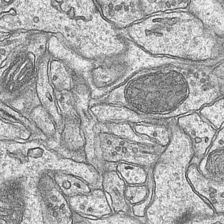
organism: Mouse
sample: CA1 Hippocampus